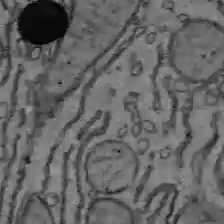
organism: C57BL Mouse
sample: Liver